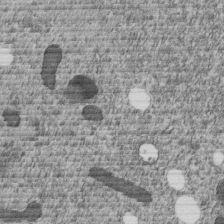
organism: C. elegans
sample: C. elegans embryo early stage